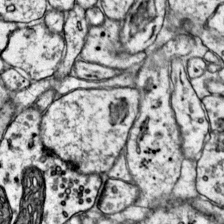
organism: Mouse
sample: Primary visual cortex